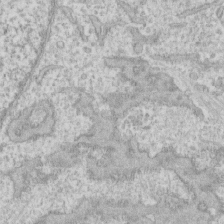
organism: Human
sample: CRL-1474